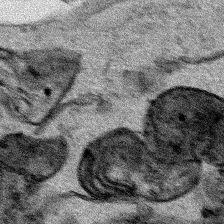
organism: Human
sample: Mitochondria in HCT116 cells